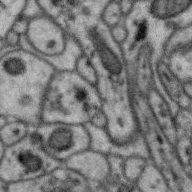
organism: Zebra finch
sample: Brain